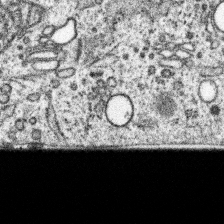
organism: Human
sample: HeLa cells